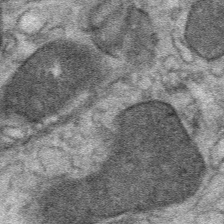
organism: Mouse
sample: Mouse Salivary gland